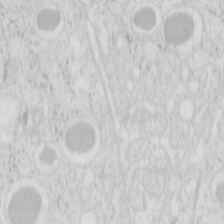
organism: Mouse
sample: Pancreas